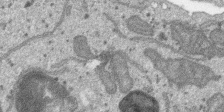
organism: Human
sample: Lung epithelial cells infected with SARS-CoV-2